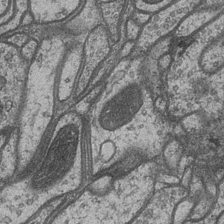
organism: Drosophila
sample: Optic medulla